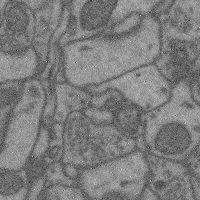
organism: Mouse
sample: Cerebral cortex